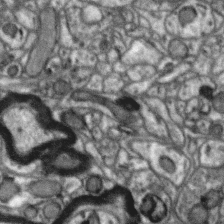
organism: Zebra finch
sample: Brain